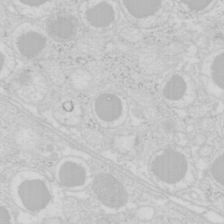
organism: Mouse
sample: Pancreas